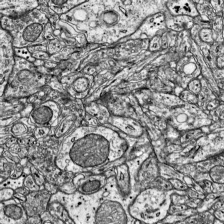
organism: Mouse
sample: Visual Cortex